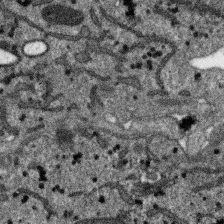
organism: Human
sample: Lung epithelial cells infected with SARS-CoV-2